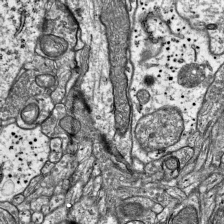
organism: Mouse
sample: Visual Cortex